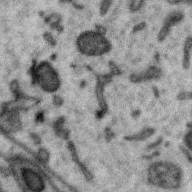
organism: Zebra finch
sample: Brain